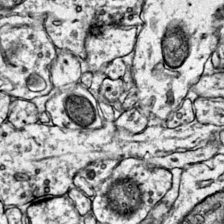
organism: Mouse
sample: Primary visual cortex